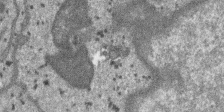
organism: Human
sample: Lung epithelial cells infected with SARS-CoV-2